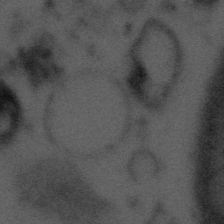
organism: Tuwongella immobilis